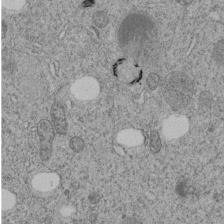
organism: C. elegans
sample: C. elegans embryo early stage